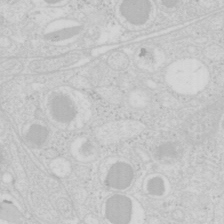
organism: Mouse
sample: Pancreas